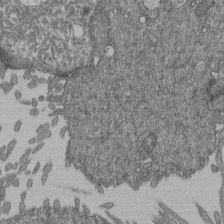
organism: Human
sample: Retinal organoid Rod and Cone cells